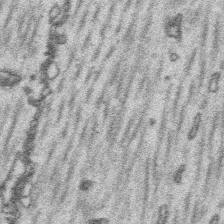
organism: Platynereis dumerilii